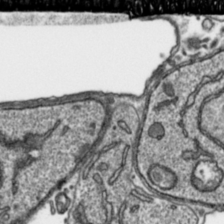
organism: Toxoplasma gondii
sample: Parasites in a vacuole inside a host cell